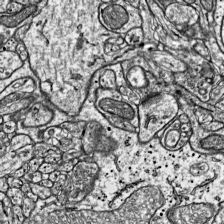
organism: Mouse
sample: Visual Cortex